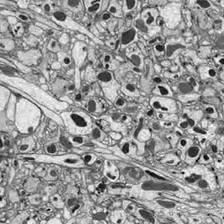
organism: Drosophila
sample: Optic lobe